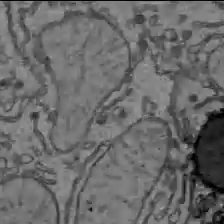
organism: C57BL Mouse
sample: Liver